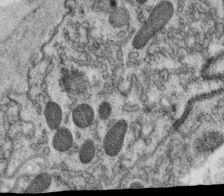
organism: C. elegans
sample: C. elegans oocyte; sperm cells